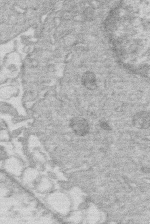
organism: Human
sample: Macrophage cells